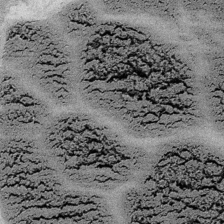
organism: Embia sp.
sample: Silk gland